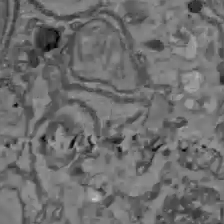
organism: C57BL Mouse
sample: Liver